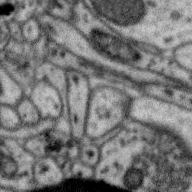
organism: Zebra finch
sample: Brain